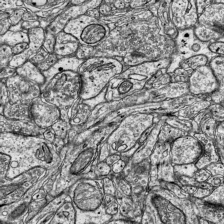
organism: Mouse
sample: Visual Cortex